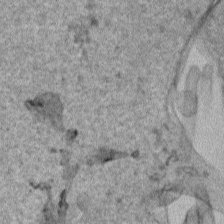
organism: Human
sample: Mitochondria in HCT116 cells